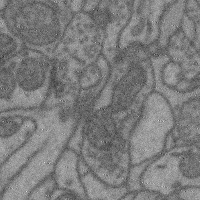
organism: Mouse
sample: Cerebral cortex